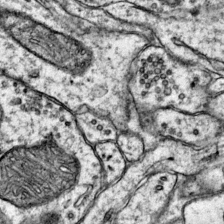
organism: Mouse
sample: Primary visual cortex